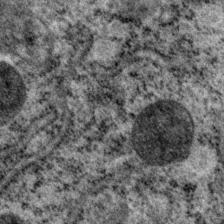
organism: P. pacificus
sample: Pharynx